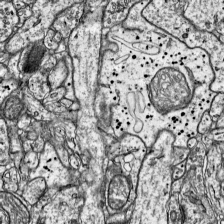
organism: Mouse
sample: Visual Cortex